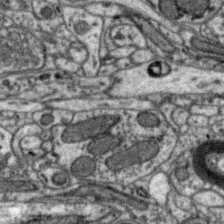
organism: Zebra finch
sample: Brain